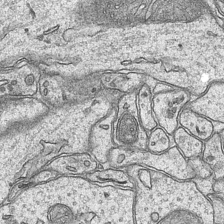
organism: Mouse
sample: CA1 Hippocampus